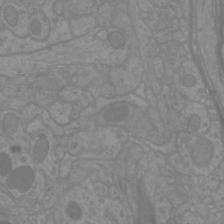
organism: Mouse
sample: Cortical neurons